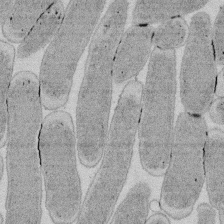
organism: E. coli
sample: Bacterial nucleoid